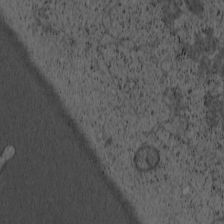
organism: African green monkey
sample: COS-7 cells